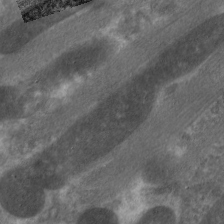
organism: C. elegans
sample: Pharynx